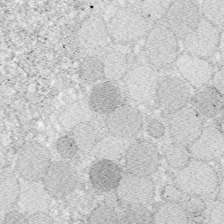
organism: Zebrafish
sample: Whole-Brain